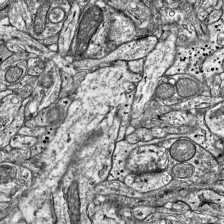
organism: Mouse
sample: Visual Cortex